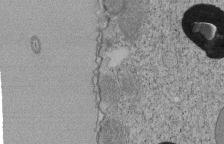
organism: Tetrahymena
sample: Cilia in tetrahymena